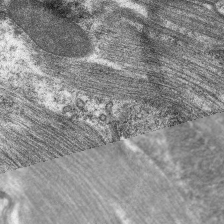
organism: C. elegans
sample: Pharynx